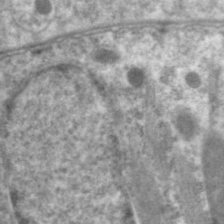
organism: C. elegans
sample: Pharynx